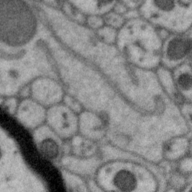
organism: Zebra finch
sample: Brain